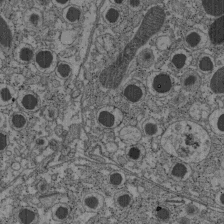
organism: C57BL Mouse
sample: Pancreatic islet